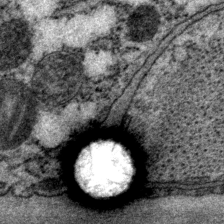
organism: P. pacificus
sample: Pharynx